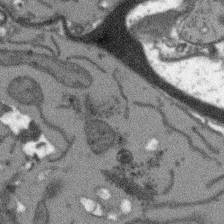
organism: Arabidopsis thaliana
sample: Root tip